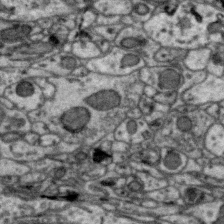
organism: Zebra finch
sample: Brain